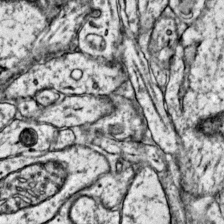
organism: Mouse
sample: Primary visual cortex